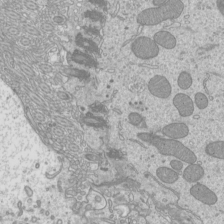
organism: Mouse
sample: Cilia; mouse epididymis